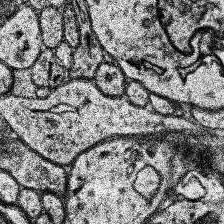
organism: Human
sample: Temporal Lobe